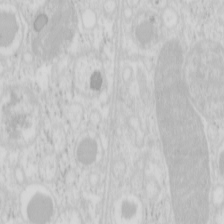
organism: Mouse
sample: Pancreas